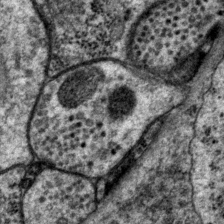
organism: P. pacificus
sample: Pharynx